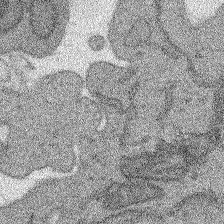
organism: Human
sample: HeLa cells